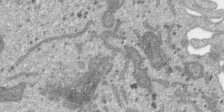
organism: Human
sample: Lung epithelial cells infected with SARS-CoV-2